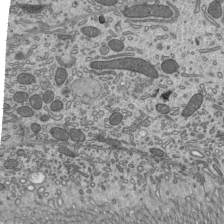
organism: Mouse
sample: Mouse epididymis efferent ductule cilia